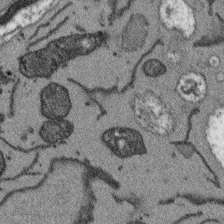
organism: Arabidopsis thaliana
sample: Root tip